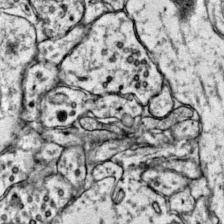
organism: Mouse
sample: Primary visual cortex